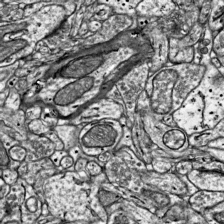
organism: Mouse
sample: Visual Cortex